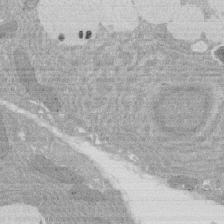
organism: Rat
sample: Salivary granule